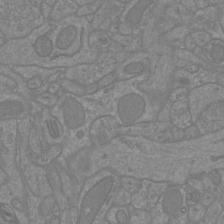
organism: Mouse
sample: Cortical neurons